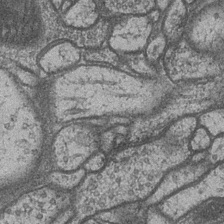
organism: Drosophila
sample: Optic medulla